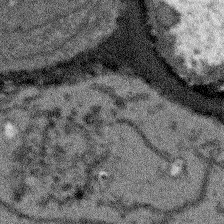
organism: Arabidopsis thaliana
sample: Root tip